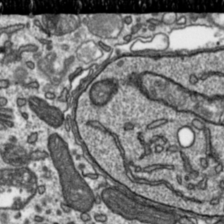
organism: Toxoplasma gondii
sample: Parasites in a vacuole inside a host cell